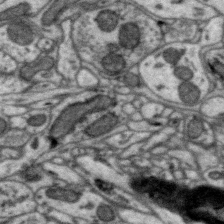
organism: Zebra finch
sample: Brain